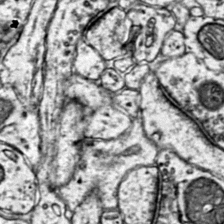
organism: Mouse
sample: Primary visual cortex